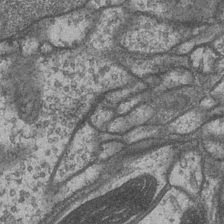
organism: Drosophila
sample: Optic medulla